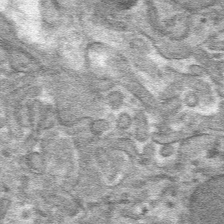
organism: Mouse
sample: Mouse hepatocytes